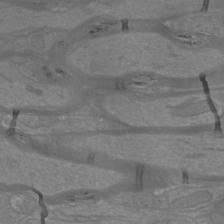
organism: Mouse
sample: Cortical neurons